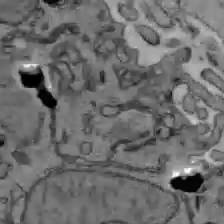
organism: C57BL Mouse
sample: Liver